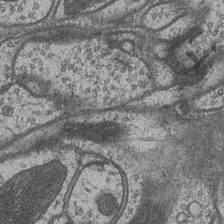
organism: Drosophila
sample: Optic medulla